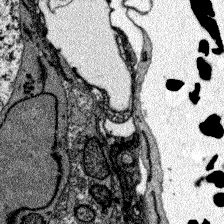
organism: Zebrafish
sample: Larval olfactory bulb